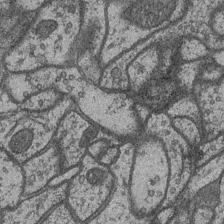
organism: Drosophila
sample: Optic medulla